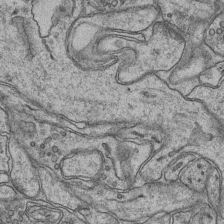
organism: Mouse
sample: CA1 Hippocampus